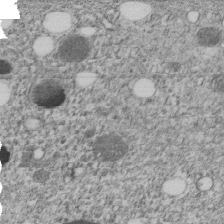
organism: C. elegans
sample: C. elegans embryo early stage